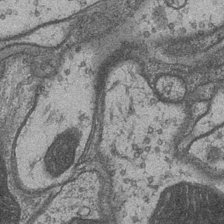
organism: Drosophila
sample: Optic medulla